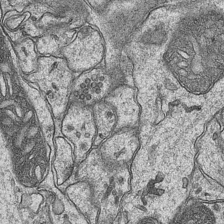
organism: Mouse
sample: CA1 Hippocampus